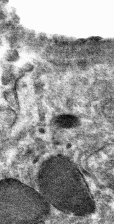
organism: Mouse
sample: Mouse hepatocytes